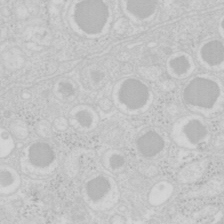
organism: Mouse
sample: Pancreas